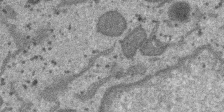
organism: Human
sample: Lung epithelial cells infected with SARS-CoV-2